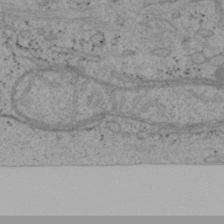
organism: Human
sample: HeLa cells